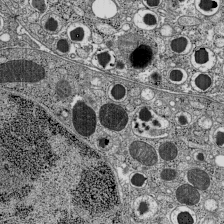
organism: C57BL Mouse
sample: Pancreatic islet